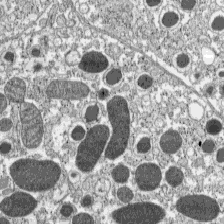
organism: C57BL Mouse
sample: Pancreatic islet